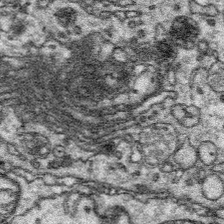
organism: Platynereis dumerilii